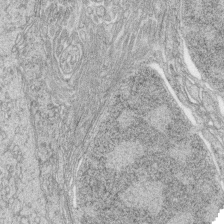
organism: Zebrafish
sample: synaptic ribbons in rod cells and cone cells